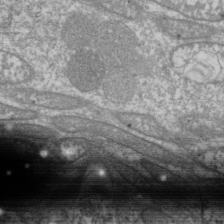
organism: Drosophila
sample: Cell division; meiosis; drosophila spermatocytes